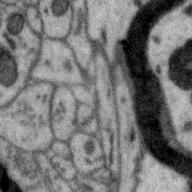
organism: Zebra finch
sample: Brain